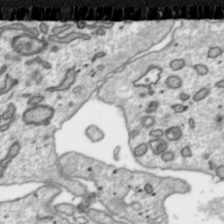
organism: Toxoplasma gondii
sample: Parasites in a vacuole inside a host cell